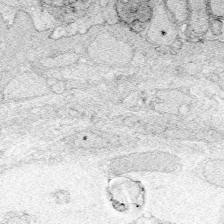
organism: Zebrafish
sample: Whole-Brain